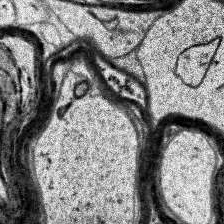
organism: Human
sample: Temporal Lobe